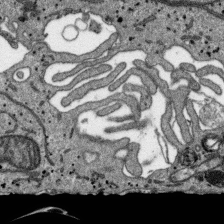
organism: Human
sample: Lung epithelial cells, uninfected (mock) control